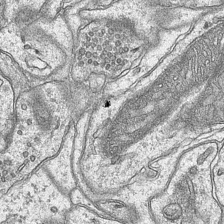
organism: Mouse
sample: CA1 Hippocampus